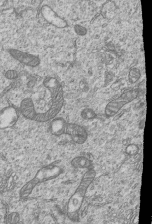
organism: Human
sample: MDA-MB-231 cells